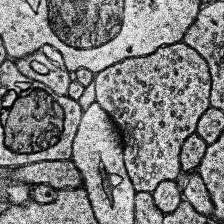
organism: Human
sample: Temporal Lobe